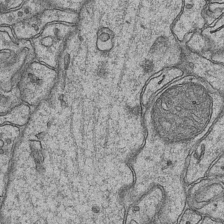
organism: Mouse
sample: CA1 Hippocampus